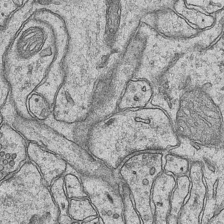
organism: Mouse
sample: CA1 Hippocampus